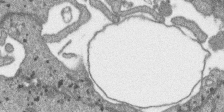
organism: Human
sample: Lung epithelial cells infected with SARS-CoV-2